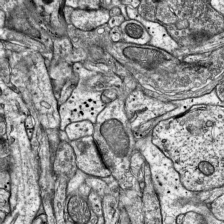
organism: Mouse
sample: Visual Cortex